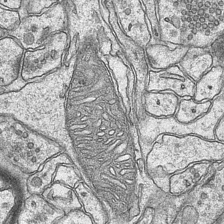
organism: Mouse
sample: CA1 Hippocampus